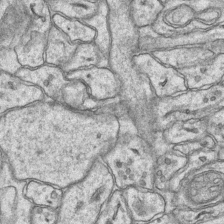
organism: Mouse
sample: CA1 Hippocampus